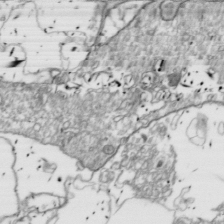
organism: Drosophila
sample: Cell division; meiosis; drosophila spermatocytes